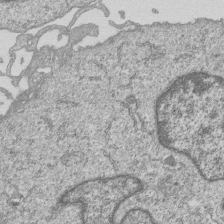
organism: Human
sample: MDA-MB-231 cells